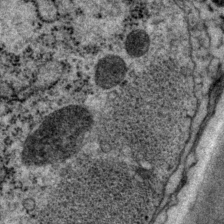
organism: P. pacificus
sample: Pharynx